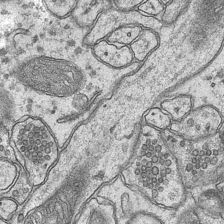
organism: Mouse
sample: CA1 Hippocampus